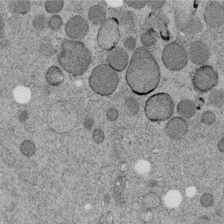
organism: C. elegans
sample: C. elegans embryo early stage